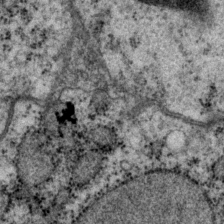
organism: P. pacificus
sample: Pharynx